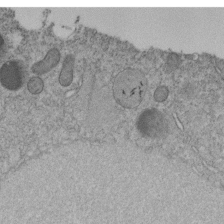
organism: C. elegans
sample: C. elegans embryo early stage